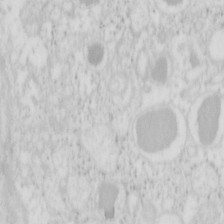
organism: Mouse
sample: Pancreas